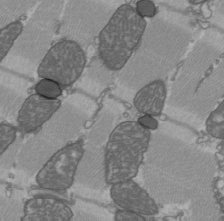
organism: C57BL Mouse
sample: Heart